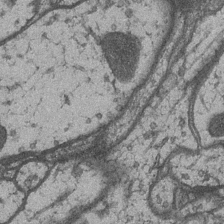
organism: Drosophila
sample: Optic medulla